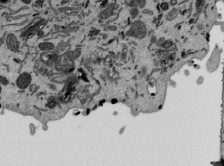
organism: Mouse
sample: ED-1 cell nuclei; centrioles